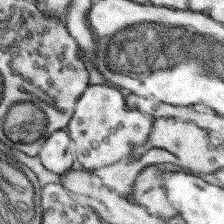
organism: Mouse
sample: Somatosensory cortex neuropil